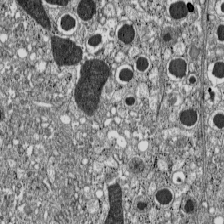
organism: C57BL Mouse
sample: Pancreatic islet